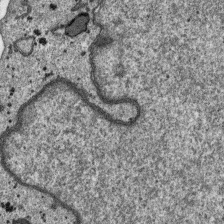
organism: Human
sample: Lung epithelial cells infected with SARS-CoV-2